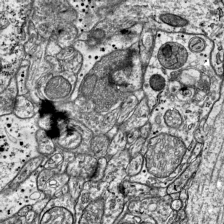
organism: Mouse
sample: Visual Cortex